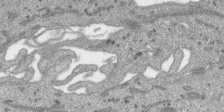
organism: Human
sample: Lung epithelial cells infected with SARS-CoV-2